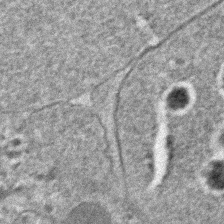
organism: C. elegans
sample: C. elegans embryo